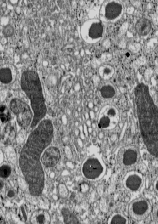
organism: C57BL Mouse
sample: Pancreatic islet